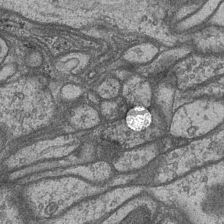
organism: Drosophila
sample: Optic medulla